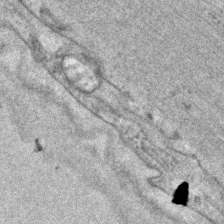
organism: C. elegans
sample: C. elegans embryo